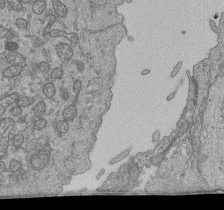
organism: Human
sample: Retinal organoid Rod and Cone cells